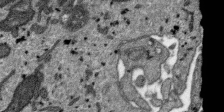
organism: Human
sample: Lung epithelial cells, uninfected (mock) control